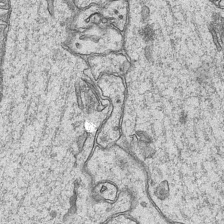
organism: Mouse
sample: CA1 Hippocampus